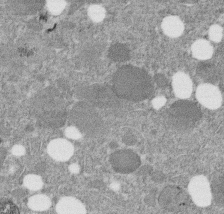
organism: C. elegans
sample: C. elegans embryo early stage